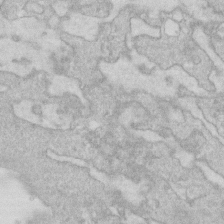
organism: Human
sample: Fibroblast cells